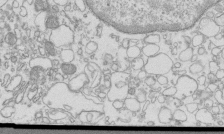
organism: Mouse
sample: Macrophages